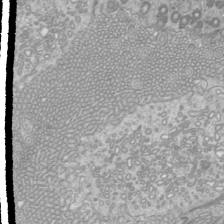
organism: Mouse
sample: Cilia; mouse epididymis